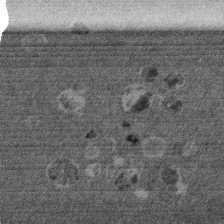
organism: Mouse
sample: Dividing mouse embryo 1 cell stage